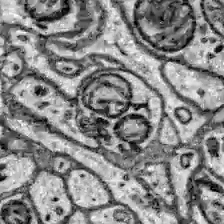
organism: Zebrafish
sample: Brain